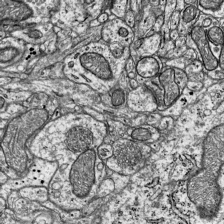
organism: Mouse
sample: Visual Cortex